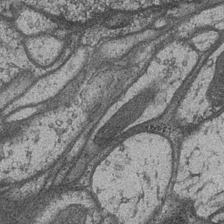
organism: Drosophila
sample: Optic medulla